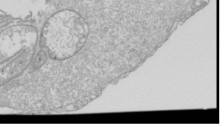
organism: Drosophila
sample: Cell division; meiosis; drosophila spermatocytes